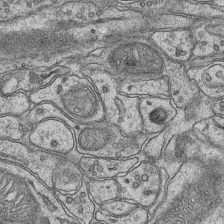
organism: Mouse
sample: CA1 Hippocampus